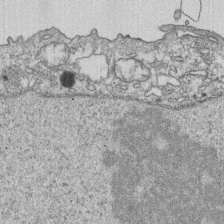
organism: Human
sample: HeLa cell HIV synapse